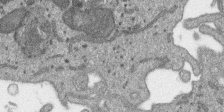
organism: Human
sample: Lung epithelial cells infected with SARS-CoV-2